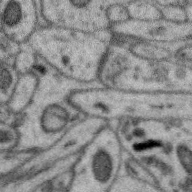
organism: Zebra finch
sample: Brain